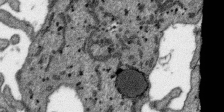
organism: Human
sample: Lung epithelial cells, uninfected (mock) control